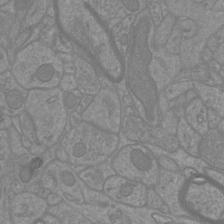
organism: Mouse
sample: Cortical neurons